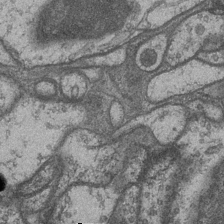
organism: Drosophila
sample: Optic medulla